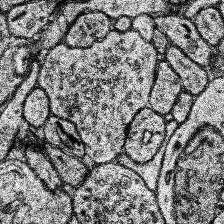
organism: Human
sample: Temporal Lobe